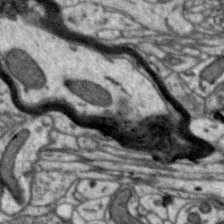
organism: Zebra finch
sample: Brain